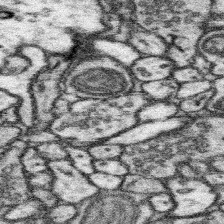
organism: Mouse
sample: Somatosensory cortex neuropil